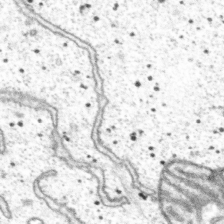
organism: Human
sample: HeLa cells